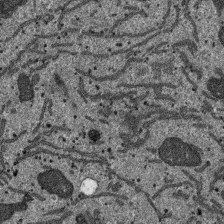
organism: Human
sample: Lung epithelial cells infected with SARS-CoV-2